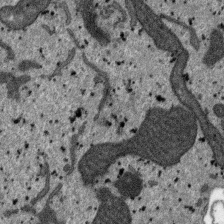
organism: Human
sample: Lung epithelial cells, uninfected (mock) control